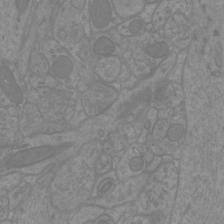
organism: Mouse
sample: Cortical neurons